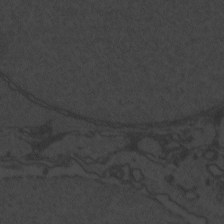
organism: Zebrafish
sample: Macrophage infected with Toxoplasma gondii